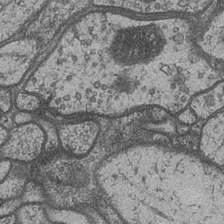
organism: Drosophila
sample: Optic medulla